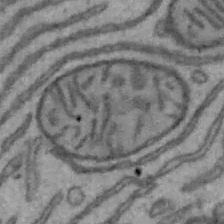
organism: Mouse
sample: Liver